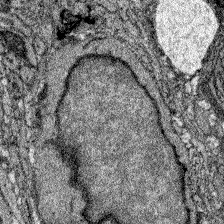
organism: Zebrafish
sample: Larval olfactory bulb